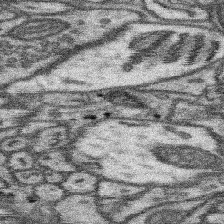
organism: Mouse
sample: Somatosensory cortex neuropil